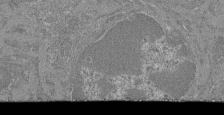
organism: Mouse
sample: Glomerulus